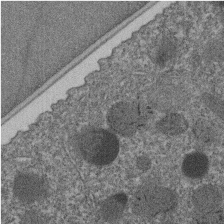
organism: C. elegans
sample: C. elegans embryo early stage